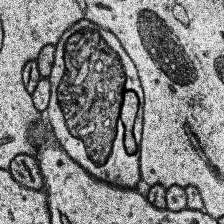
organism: Human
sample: Temporal Lobe